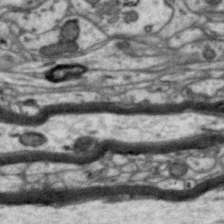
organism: Zebra finch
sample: Brain